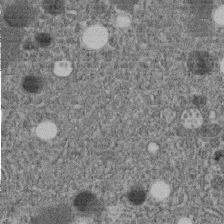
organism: C. elegans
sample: C. elegans embryo early stage